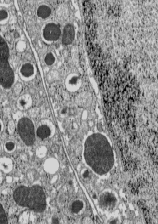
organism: C57BL Mouse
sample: Pancreatic islet